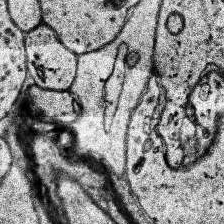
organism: Human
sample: Temporal Lobe